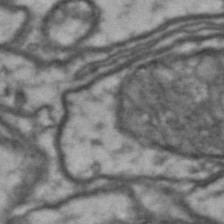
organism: Drosophila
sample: Brain